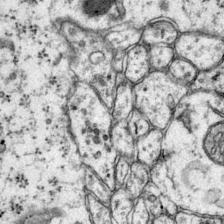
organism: Mouse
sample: Primary visual cortex